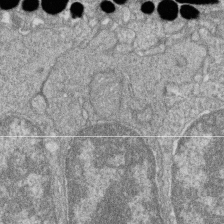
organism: Zebrafish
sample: Cilia; retinal pigment epithelium